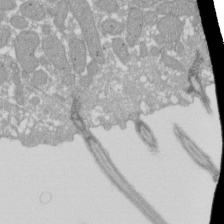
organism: Xenopus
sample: Cilia; centrioles in frog embryo cells